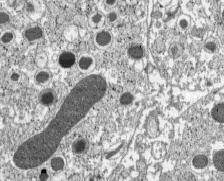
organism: C57BL Mouse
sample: Pancreatic islet